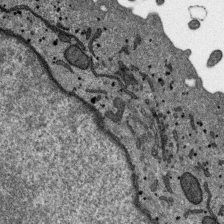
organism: Human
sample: Lung epithelial cells, uninfected (mock) control